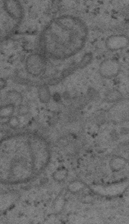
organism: Human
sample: HeLa cells